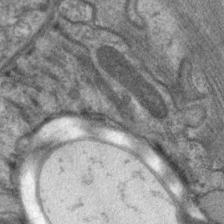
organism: C. elegans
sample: Pharynx